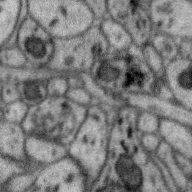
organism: Zebra finch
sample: Brain